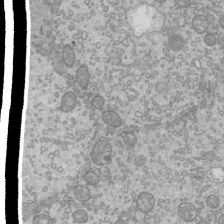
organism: Mouse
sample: Cilia; mouse epididymis